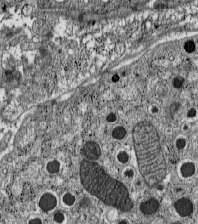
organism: C57BL Mouse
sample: Pancreatic islet